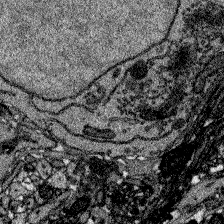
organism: Zebrafish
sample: Larval olfactory bulb